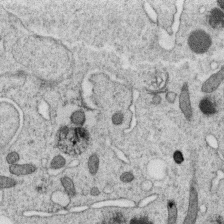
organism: C. elegans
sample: C. elegans oocyte; sperm cells